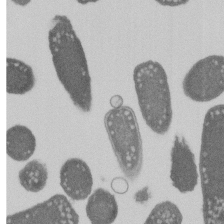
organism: E. coli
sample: Bacterial nucleoid